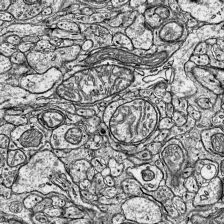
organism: Mouse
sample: Visual Cortex